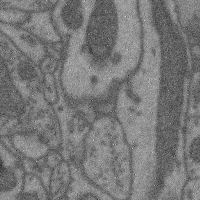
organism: Mouse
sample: Cerebral cortex